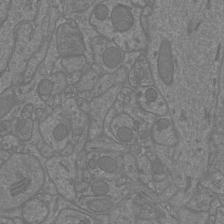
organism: Mouse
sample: Cortical neurons